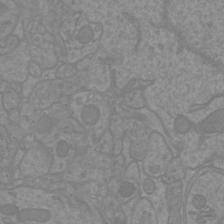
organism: Mouse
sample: Cortical neurons